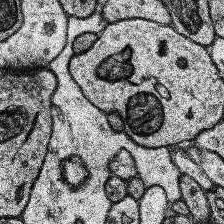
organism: Human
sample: Temporal Lobe